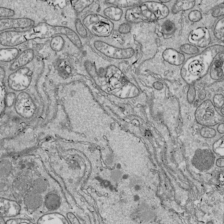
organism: Drosophila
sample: Cell division; meiosis; drosophila spermatocytes